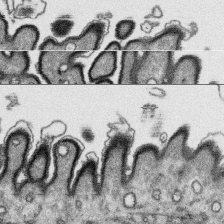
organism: Platynereis dumerilii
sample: Parapodia